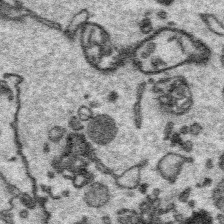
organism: Platynereis dumerilii